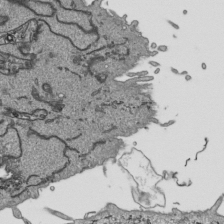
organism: Human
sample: Mitochondria in HCT116 cells